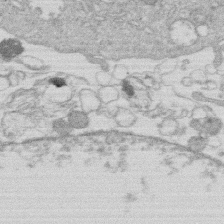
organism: Human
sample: Macrophage cells